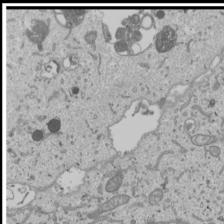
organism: Human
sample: Mitochondria in U2OS cells